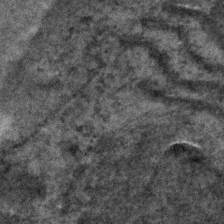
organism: C. elegans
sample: C. elegans embryo